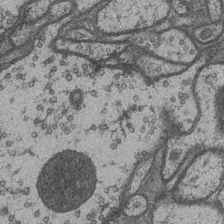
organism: Drosophila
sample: Optic medulla